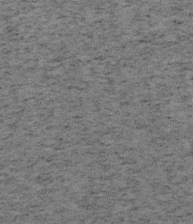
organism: Mouse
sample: OT-I killer T cells with ID8 ovarian cancer cells